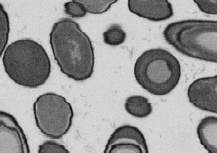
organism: B. subtilis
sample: Bacterial spore